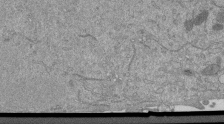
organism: Mouse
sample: ED-1 cell nuclei; centrioles